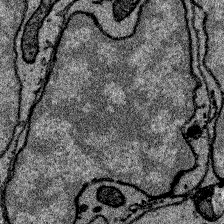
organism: Zebrafish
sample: Larval olfactory bulb